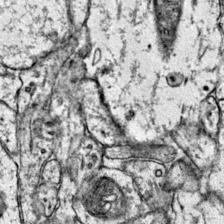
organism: Mouse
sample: Primary visual cortex